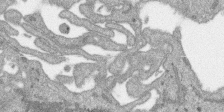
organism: Human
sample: Lung epithelial cells infected with SARS-CoV-2